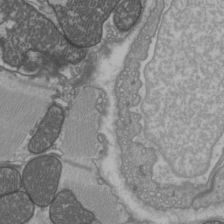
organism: C57BL Mouse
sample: Heart